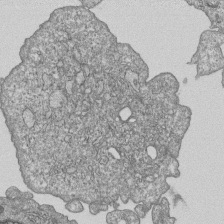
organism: Human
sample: MDA-MB-231 cells